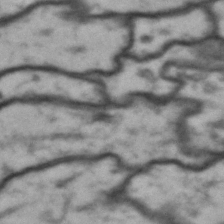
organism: Drosophila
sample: Brain